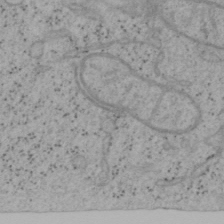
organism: Human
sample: HeLa cells